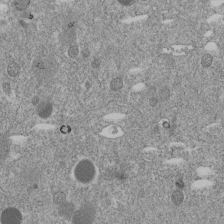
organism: C. elegans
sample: C. elegans embryo early stage